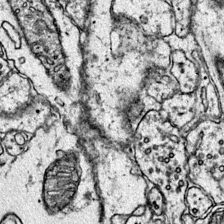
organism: Mouse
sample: Primary visual cortex